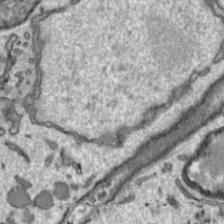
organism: Toxoplasma gondii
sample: Parasites in a vacuole inside a host cell